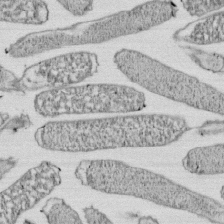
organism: E. coli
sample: Bacterial nucleoid